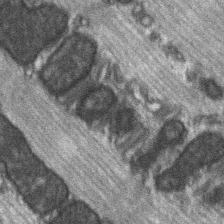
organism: C57BL Mouse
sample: Soleus